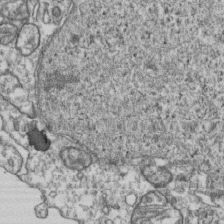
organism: Human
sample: Activated Jurkat CD4+ T cells